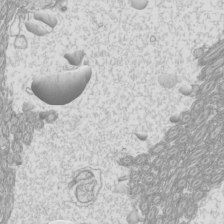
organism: Mouse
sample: Cilia; mouse epididymis